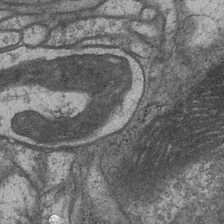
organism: Drosophila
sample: Optic medulla